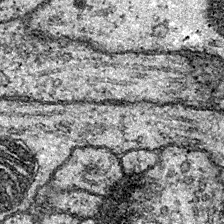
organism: Drosophila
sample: Ventral Nerve Cord